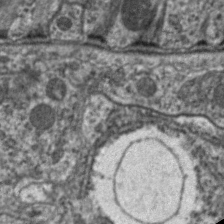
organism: C. elegans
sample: Pharynx